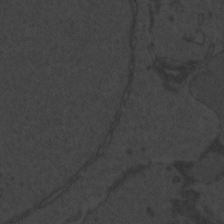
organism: Zebrafish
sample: Macrophage infected with Toxoplasma gondii